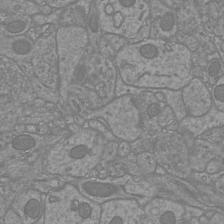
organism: Mouse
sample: Cortical neurons